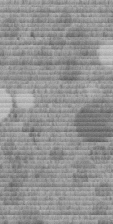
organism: C. elegans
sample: C. elegans embryo early stage